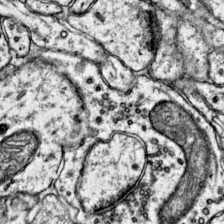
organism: Mouse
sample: Primary visual cortex